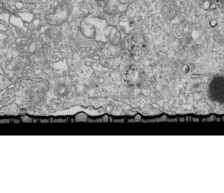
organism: Human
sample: HeLa cell HIV synapse